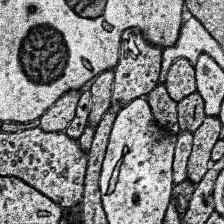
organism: Human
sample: Temporal Lobe